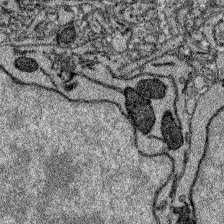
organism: Zebrafish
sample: Larval olfactory bulb